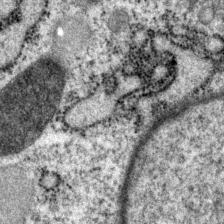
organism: P. pacificus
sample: Pharynx